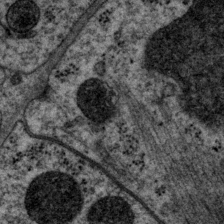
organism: P. pacificus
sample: Pharynx